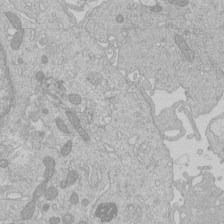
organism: Human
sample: Macrophage cells